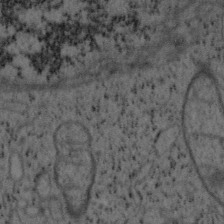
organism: Human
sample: HeLa cells